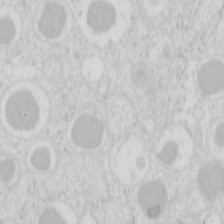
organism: Mouse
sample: Pancreas